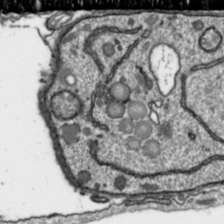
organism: Toxoplasma gondii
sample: Parasites in a vacuole inside a host cell